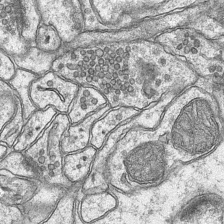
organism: Mouse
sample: CA1 Hippocampus